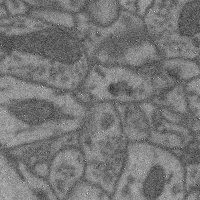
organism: Mouse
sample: Cerebral cortex